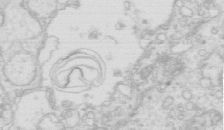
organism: Mouse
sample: Multiciliated cells